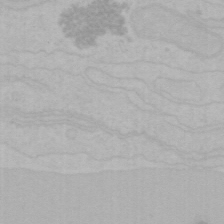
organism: Mouse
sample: Choroid plexus